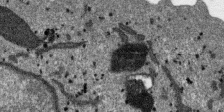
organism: Human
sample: Lung epithelial cells, uninfected (mock) control